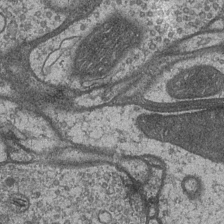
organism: Drosophila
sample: Optic medulla